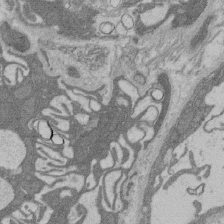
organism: Rat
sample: Salivary granule